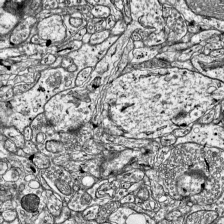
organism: Mouse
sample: Visual Cortex